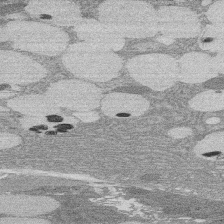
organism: Rat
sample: Salivary granule